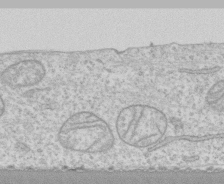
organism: Human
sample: CRL-1474